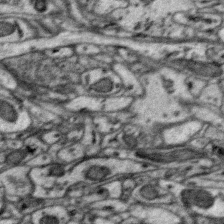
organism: Zebra finch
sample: Brain